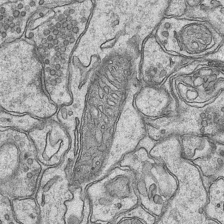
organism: Mouse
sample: CA1 Hippocampus